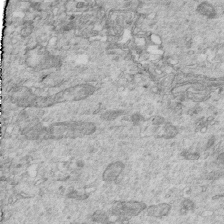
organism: Mouse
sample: Multiciliated cells